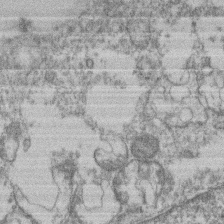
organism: Mouse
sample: T cell stromal cell synapse